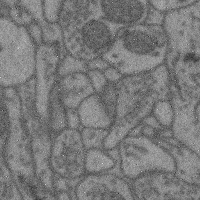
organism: Mouse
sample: Cerebral cortex